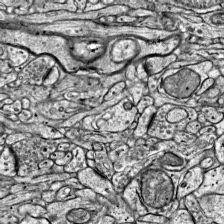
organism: Mouse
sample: Visual Cortex